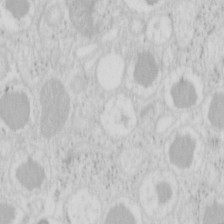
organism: Mouse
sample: Pancreas